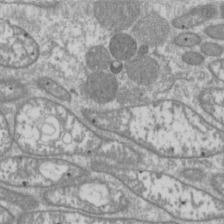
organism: Drosophila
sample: Cell division; meiosis; drosophila spermatocytes